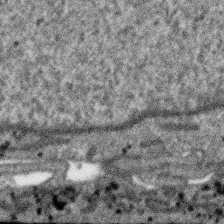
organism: Human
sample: Lung epithelial cells infected with SARS-CoV-2